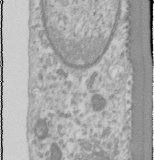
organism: Human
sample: Cilia; basal body in RPE cells